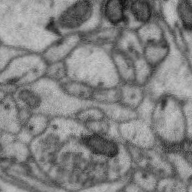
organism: Zebra finch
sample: Brain